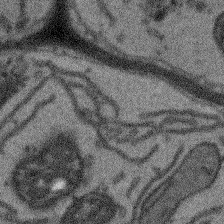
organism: Arabidopsis thaliana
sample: Root tip